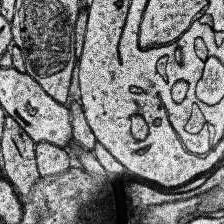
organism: Human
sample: Temporal Lobe